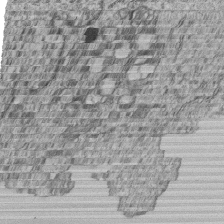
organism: Human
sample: MDA-MB-231 cells